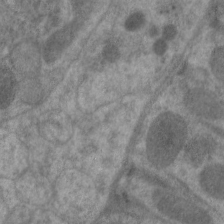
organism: C. elegans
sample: Pharynx